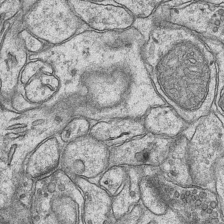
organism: Mouse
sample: CA1 Hippocampus